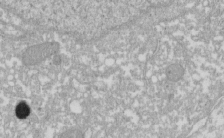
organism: Xenopus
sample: Cilia; centrioles in frog embryo cells